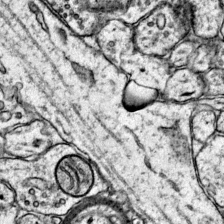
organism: Mouse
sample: Primary visual cortex